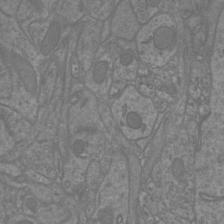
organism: Mouse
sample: Cortical neurons